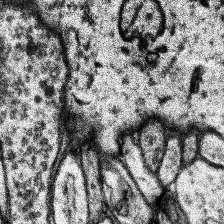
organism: Human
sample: Temporal Lobe